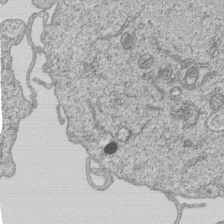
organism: Human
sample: MDA-MB-231 cells